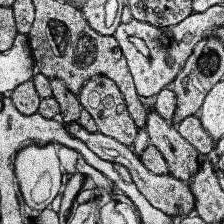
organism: Human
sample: Temporal Lobe